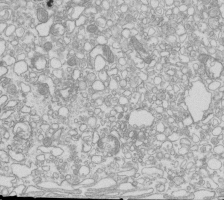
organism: Mouse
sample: Macrophages